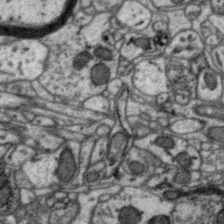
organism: Zebra finch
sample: Brain